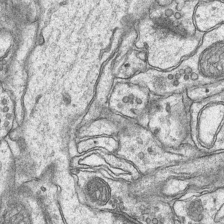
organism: Mouse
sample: CA1 Hippocampus